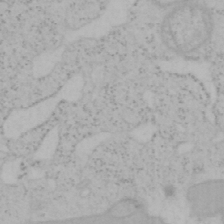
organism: Mouse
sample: OT-I killer T cells with ID8 ovarian cancer cells